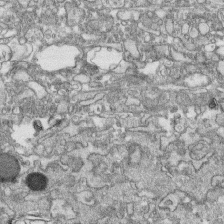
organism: Human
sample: CRL-1474